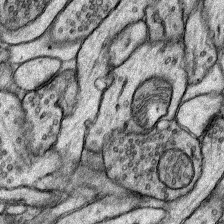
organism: Rat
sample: Hippocampus